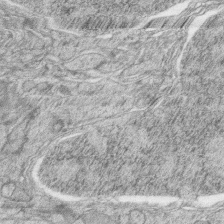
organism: Zebrafish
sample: synaptic ribbons in rod cells and cone cells